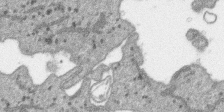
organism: Human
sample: Lung epithelial cells infected with SARS-CoV-2